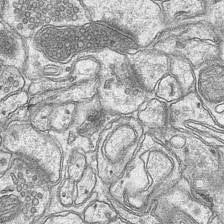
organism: Mouse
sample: CA1 Hippocampus